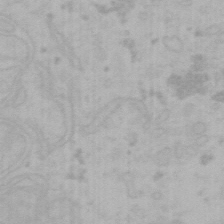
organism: Mouse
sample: Choroid plexus